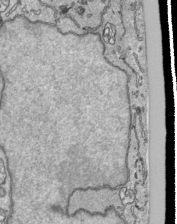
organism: Human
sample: Mitochondria in HCT116 cells